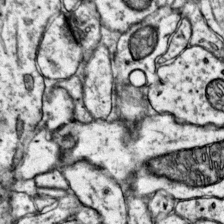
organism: Mouse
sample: Primary visual cortex